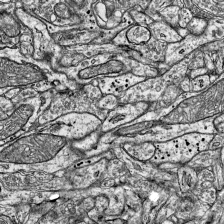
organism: Mouse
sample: Visual Cortex